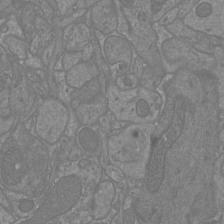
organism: Mouse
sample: Cortical neurons